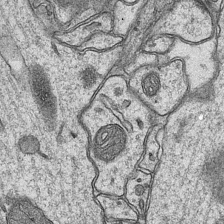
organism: Mouse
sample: CA1 Hippocampus